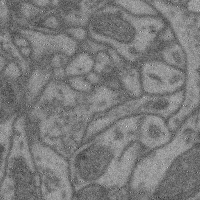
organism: Mouse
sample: Cerebral cortex